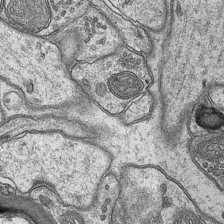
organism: Mouse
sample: CA1 Hippocampus